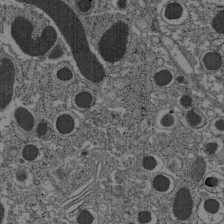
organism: C57BL Mouse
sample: Pancreatic islet